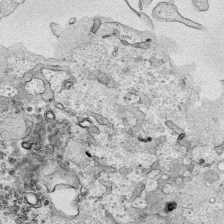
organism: Human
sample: Mitochondria in HCT116 cells